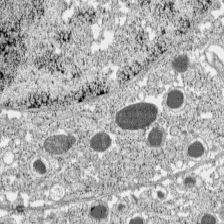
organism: C57BL Mouse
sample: Pancreatic islet